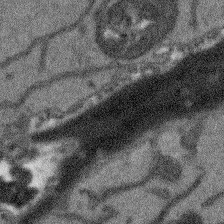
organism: Arabidopsis thaliana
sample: Root tip